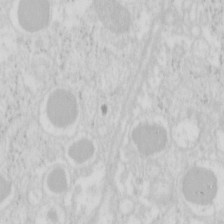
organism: Mouse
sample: Pancreas